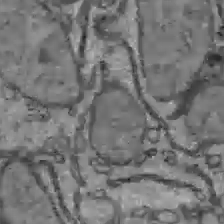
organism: C57BL Mouse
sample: Liver